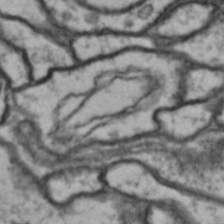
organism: Drosophila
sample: Brain